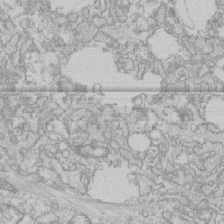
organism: Human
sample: CRL-1474